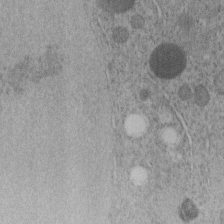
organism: C. elegans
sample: C. elegans embryo early stage